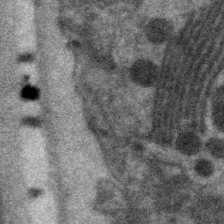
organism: C. elegans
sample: Pharynx